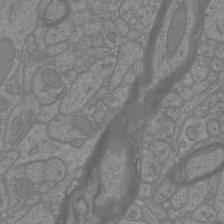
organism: Mouse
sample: Cortical neurons